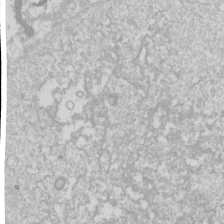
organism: Drosophila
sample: Cell division; meiosis; drosophila spermatocytes